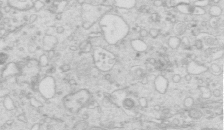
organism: Mouse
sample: Multiciliated cells